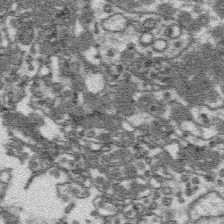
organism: Platynereis dumerilii